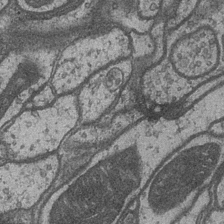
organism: Drosophila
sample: Optic medulla